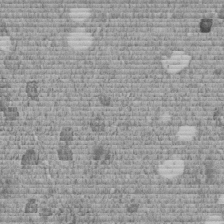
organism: C. elegans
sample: C. elegans embryo early stage